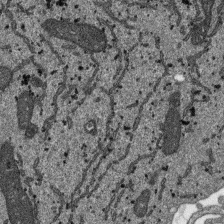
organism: Human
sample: Lung epithelial cells infected with SARS-CoV-2